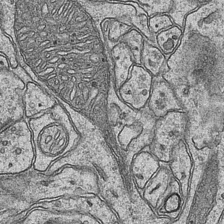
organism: Mouse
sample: CA1 Hippocampus